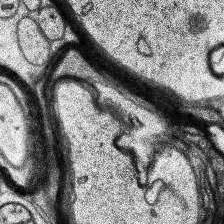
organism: Human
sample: Temporal Lobe